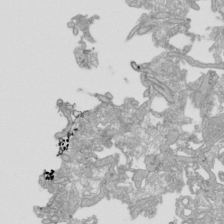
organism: Human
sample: Mitochondria in HCT116 cells